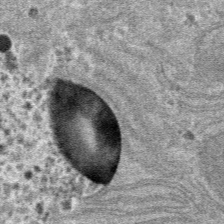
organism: Mouse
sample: Mouse hepatocytes